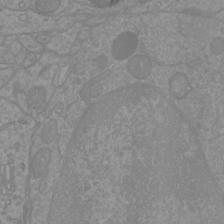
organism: Mouse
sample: Cortical neurons